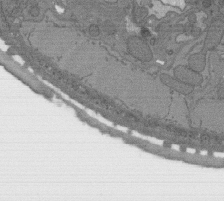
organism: C. elegans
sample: AFD neurons C. elegans